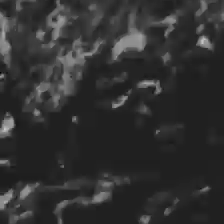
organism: C57BL Mouse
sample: Liver